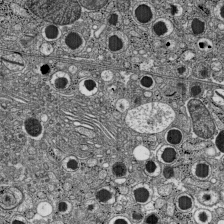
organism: C57BL Mouse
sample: Pancreatic islet